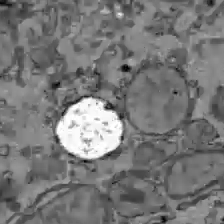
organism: C57BL Mouse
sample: Liver